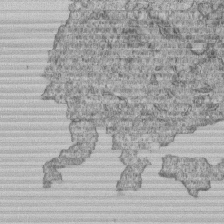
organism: Human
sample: MDA-MB-231 cells